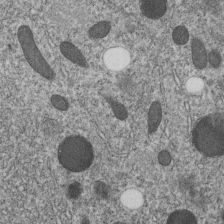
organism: C. elegans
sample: C. elegans embryo early stage